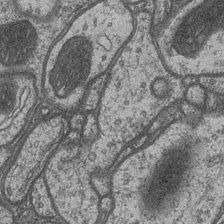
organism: Drosophila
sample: Optic medulla